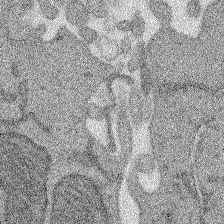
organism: Human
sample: HeLa cells